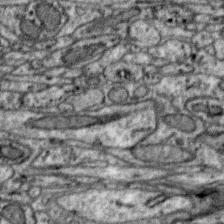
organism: Zebra finch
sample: Brain